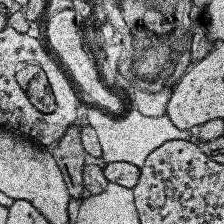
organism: Human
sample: Temporal Lobe